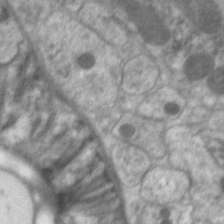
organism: C. elegans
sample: Pharynx